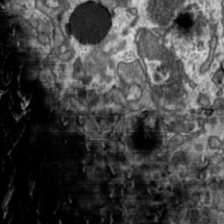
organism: Toxoplasma gondii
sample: Parasites in a vacuole inside a host cell